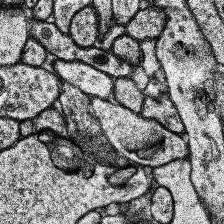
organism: Human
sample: Temporal Lobe